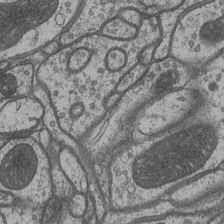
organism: Drosophila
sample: Optic medulla